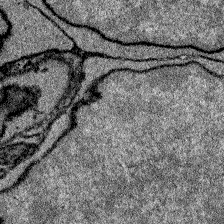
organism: Zebrafish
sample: Larval olfactory bulb